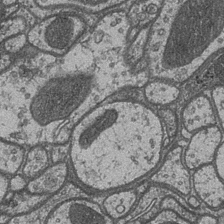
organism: Drosophila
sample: Optic medulla